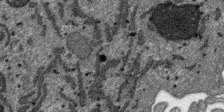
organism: Human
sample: Lung epithelial cells infected with SARS-CoV-2